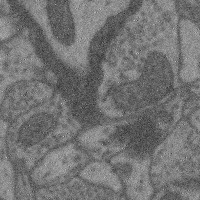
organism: Mouse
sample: Cerebral cortex